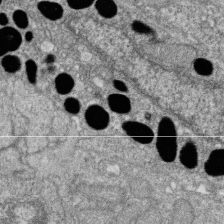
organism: Zebrafish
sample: Cilia; retinal pigment epithelium